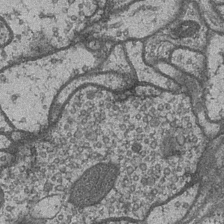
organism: Drosophila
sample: Optic medulla